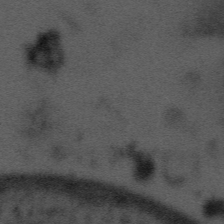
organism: Tuwongella immobilis